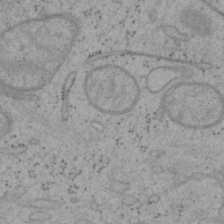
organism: Human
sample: HeLa cells